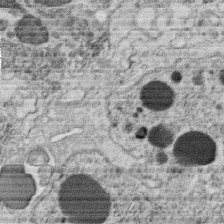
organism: C. elegans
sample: C. elegans oocyte; sperm cells